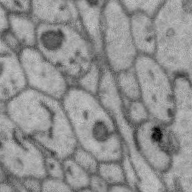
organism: Zebra finch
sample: Brain